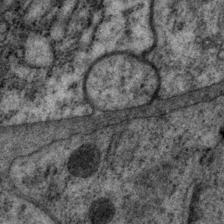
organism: P. pacificus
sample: Pharynx